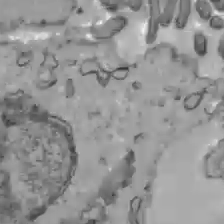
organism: C57BL Mouse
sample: Liver